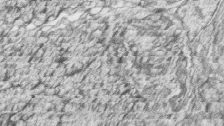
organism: Zebrafish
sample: synaptic ribbons in rod cells and cone cells